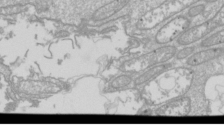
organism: Drosophila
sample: Cell division; meiosis; drosophila spermatocytes